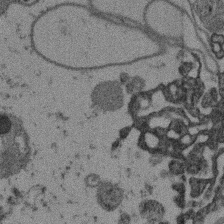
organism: Mouse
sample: Dividing mouse embryo 1 cell stage